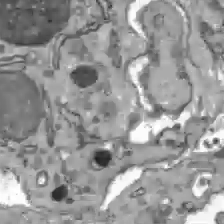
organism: C57BL Mouse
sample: Liver